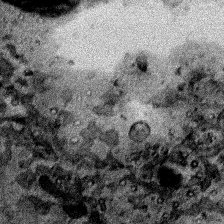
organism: Human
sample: Mitochondria in HCT116 cells